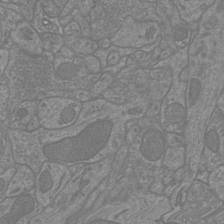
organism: Mouse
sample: Cortical neurons